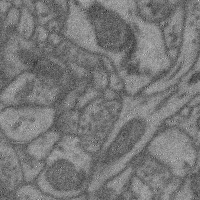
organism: Mouse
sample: Cerebral cortex